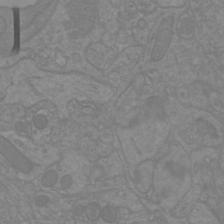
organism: Mouse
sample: Cortical neurons